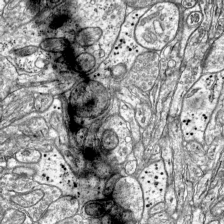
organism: Mouse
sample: Visual Cortex